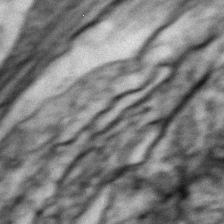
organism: Zebrafish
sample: Zebrafish embryo